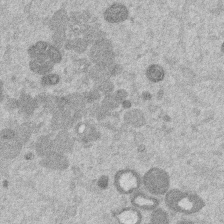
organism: Mouse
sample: Dividing mouse embryo 1 cell stage